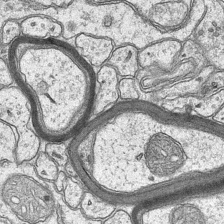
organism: Mouse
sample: CA1 Hippocampus